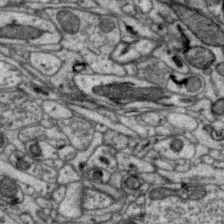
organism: Zebra finch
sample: Brain